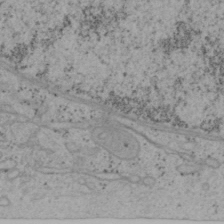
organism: Human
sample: HeLa cells